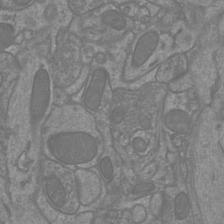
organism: Mouse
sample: Cortical neurons